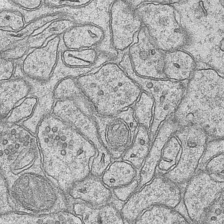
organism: Mouse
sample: CA1 Hippocampus